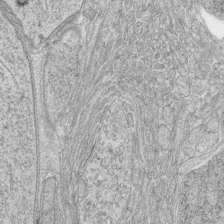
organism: Zebrafish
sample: synaptic ribbons in rod cells and cone cells